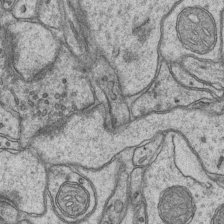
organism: Mouse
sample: CA1 Hippocampus